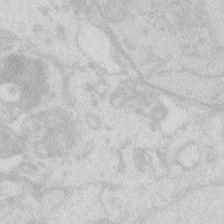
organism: Zebrafish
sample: Macrophage